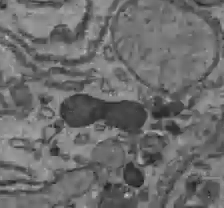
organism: C57BL Mouse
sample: Liver